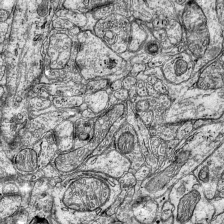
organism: Mouse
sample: Visual Cortex